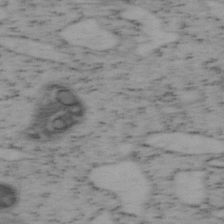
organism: Mouse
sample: OT-I killer T cells with ID8 ovarian cancer cells